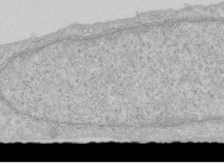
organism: Human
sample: Centriole in RPE cells